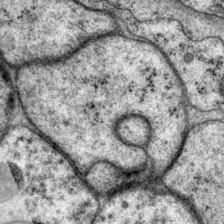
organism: P. pacificus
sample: Pharynx